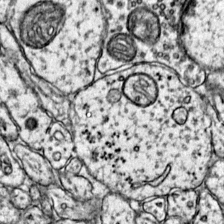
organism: Mouse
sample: Primary visual cortex